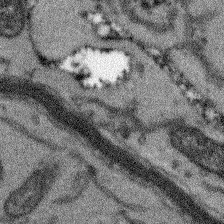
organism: Arabidopsis thaliana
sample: Root tip